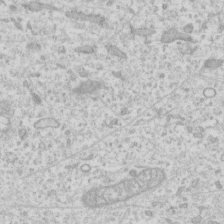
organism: Human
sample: Fibroblast cells